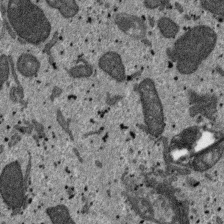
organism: Human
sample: Lung epithelial cells, uninfected (mock) control